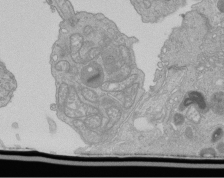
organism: Human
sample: Retinal organoid Rod and Cone cells